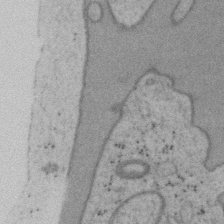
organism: Human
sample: HeLa cells